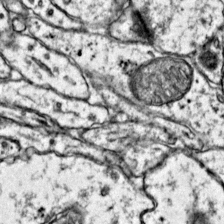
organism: Mouse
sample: Primary visual cortex